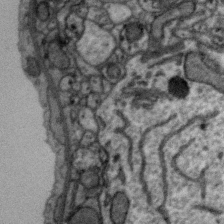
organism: Zebra finch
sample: Brain